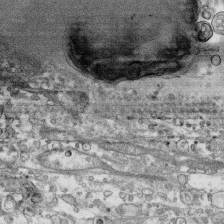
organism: Human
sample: CRL-1474